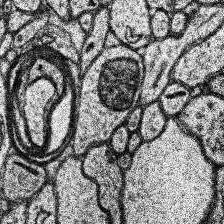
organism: Human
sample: Temporal Lobe